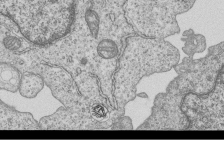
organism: Human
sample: MDA-MB-231 cells